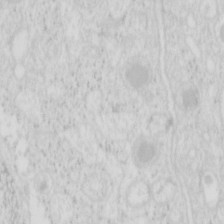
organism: Mouse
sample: Pancreas